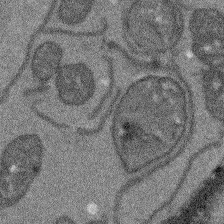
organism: Arabidopsis thaliana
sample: Root tip